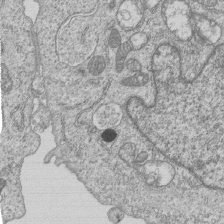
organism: Human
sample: MDA-MB-231 cells